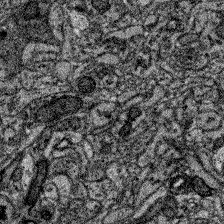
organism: Zebrafish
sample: Larval olfactory bulb